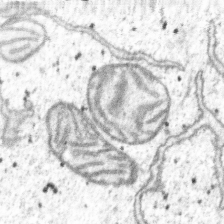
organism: Human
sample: HeLa cells